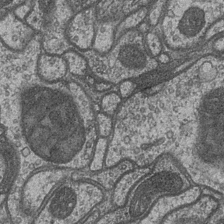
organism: Drosophila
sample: Optic medulla